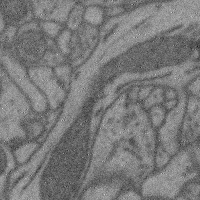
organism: Mouse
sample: Cerebral cortex